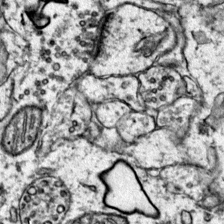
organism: Mouse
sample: Primary visual cortex